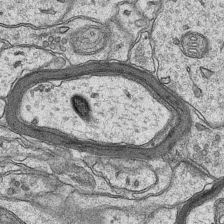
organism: Mouse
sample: CA1 Hippocampus